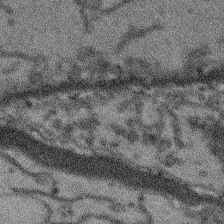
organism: Arabidopsis thaliana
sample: Root tip